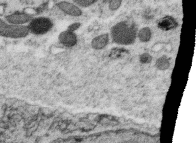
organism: C. elegans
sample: C. elegans oocyte; sperm cells